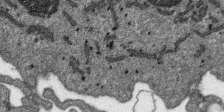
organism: Human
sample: Lung epithelial cells infected with SARS-CoV-2